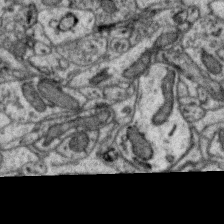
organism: Zebra finch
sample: Brain